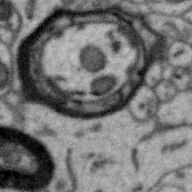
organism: Zebra finch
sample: Brain